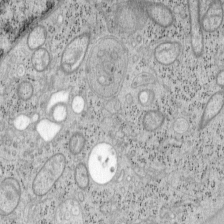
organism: Mouse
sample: OT-I killer T cells with ID8 ovarian cancer cells